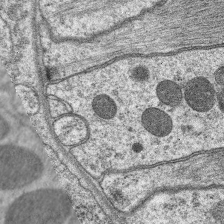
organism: C. elegans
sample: Pharynx